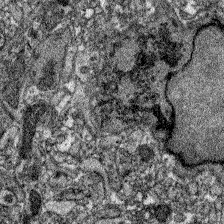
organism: Zebrafish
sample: Larval olfactory bulb